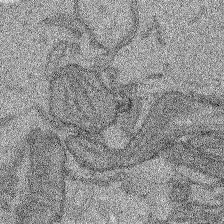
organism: Human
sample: HeLa cells